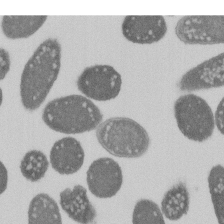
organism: E. coli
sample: Bacterial nucleoid